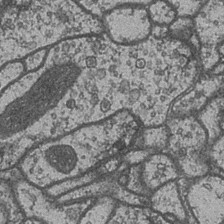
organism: Drosophila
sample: Optic medulla